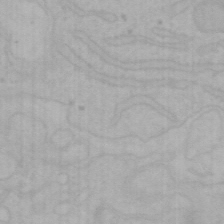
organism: Mouse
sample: Choroid plexus